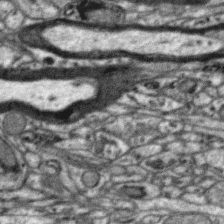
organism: Zebra finch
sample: Brain